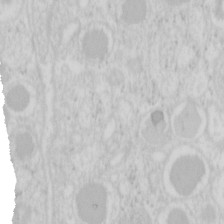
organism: Mouse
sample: Pancreas